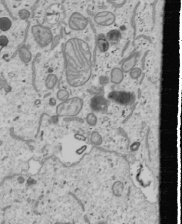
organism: Human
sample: Mitochondria in U2OS cells